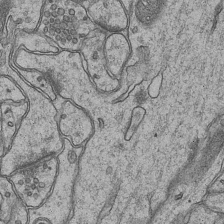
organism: Mouse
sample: CA1 Hippocampus